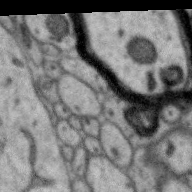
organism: Zebra finch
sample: Brain